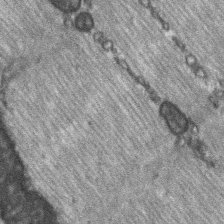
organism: C57BL Mouse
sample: Soleus